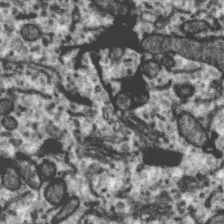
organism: Zebra finch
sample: Brain